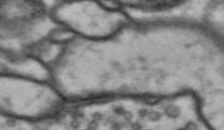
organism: Drosophila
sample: Brain